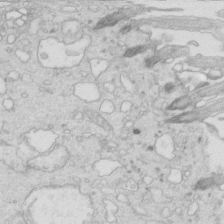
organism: Mouse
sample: Multiciliated cells